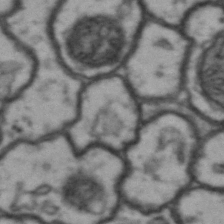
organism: Drosophila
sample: Brain